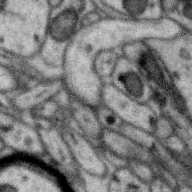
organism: Zebra finch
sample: Brain